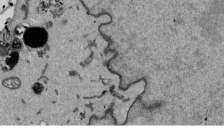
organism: Mouse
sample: ED-1 cell nuclei; centrioles